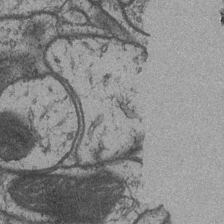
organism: Drosophila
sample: Optic medulla